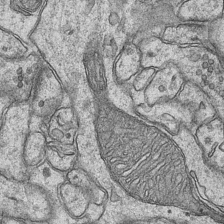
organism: Mouse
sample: CA1 Hippocampus